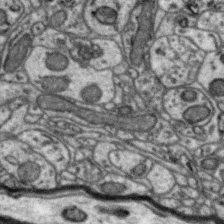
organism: Zebra finch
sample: Brain